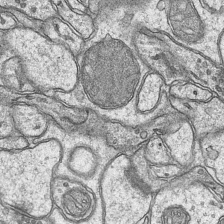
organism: Mouse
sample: CA1 Hippocampus